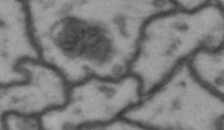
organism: Drosophila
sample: Brain